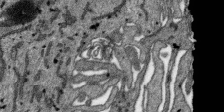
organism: Human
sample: Lung epithelial cells, uninfected (mock) control